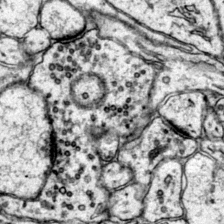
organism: Mouse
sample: Primary visual cortex